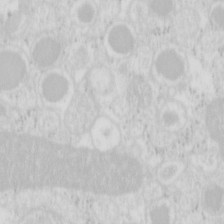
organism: Mouse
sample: Pancreas